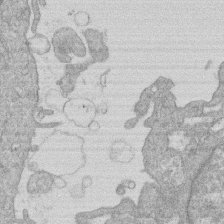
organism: Human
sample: Macrophage cells